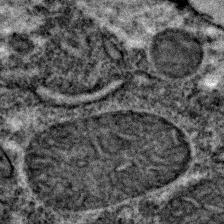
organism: C. elegans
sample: C. elegans embryo